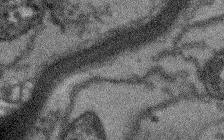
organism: Arabidopsis thaliana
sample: Root tip